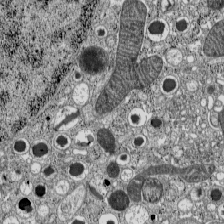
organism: C57BL Mouse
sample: Pancreatic islet